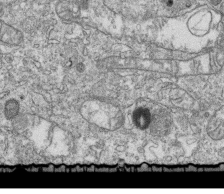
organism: Human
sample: HeLa cell HIV synapse